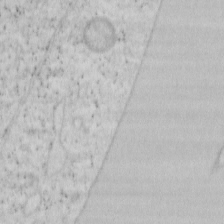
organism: Human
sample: HeLa cells